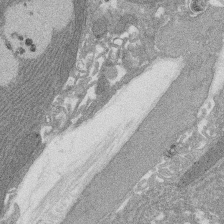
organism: Rat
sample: Salivary granule